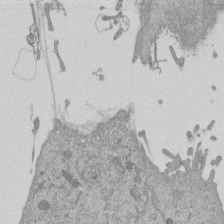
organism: Mouse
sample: ED-1 cell nuclei; centrioles